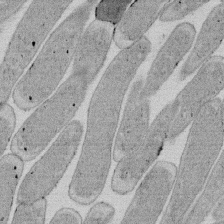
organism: E. coli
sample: Bacterial nucleoid